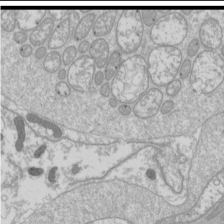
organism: Drosophila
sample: Cell division; meiosis; drosophila spermatocytes